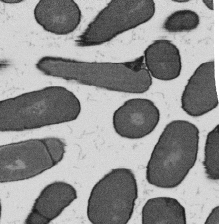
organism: B. subtilis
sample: Bacterial spore